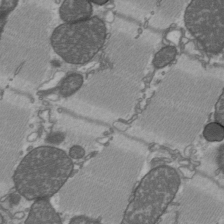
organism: C57BL Mouse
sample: Heart